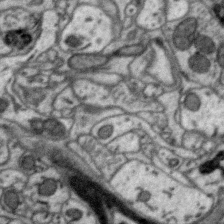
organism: Zebra finch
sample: Brain